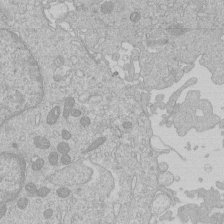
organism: Human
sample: Macrophage cells